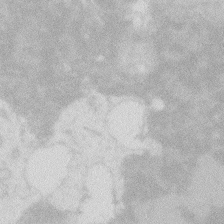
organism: Zebrafish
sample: Macrophage